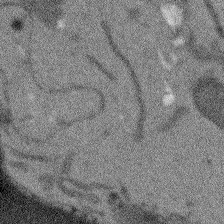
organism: Arabidopsis thaliana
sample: Root tip